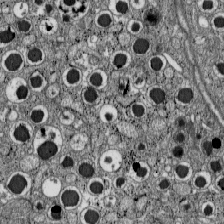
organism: C57BL Mouse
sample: Pancreatic islet